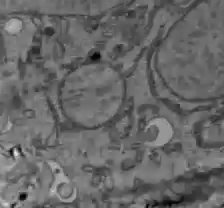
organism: C57BL Mouse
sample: Liver